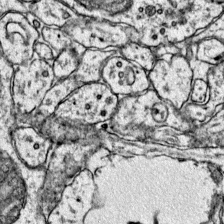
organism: Mouse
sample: Primary visual cortex